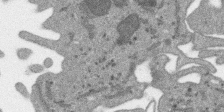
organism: Human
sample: Lung epithelial cells infected with SARS-CoV-2